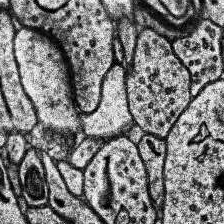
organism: Human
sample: Temporal Lobe